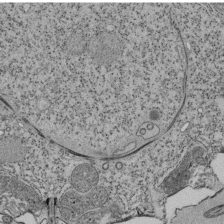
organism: Tetrahymena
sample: Cilia in tetrahymena